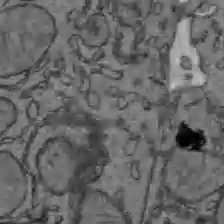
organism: C57BL Mouse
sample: Liver